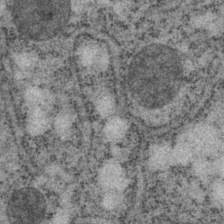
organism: P. pacificus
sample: Pharynx